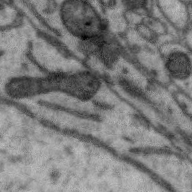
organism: Zebra finch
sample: Brain